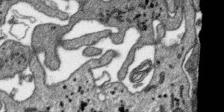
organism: Human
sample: Lung epithelial cells, uninfected (mock) control